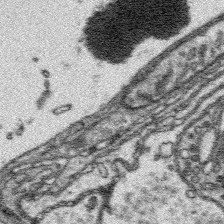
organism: Platynereis dumerilii